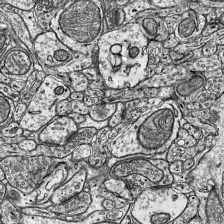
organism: Mouse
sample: Visual Cortex